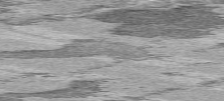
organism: C57BL Mouse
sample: Heart